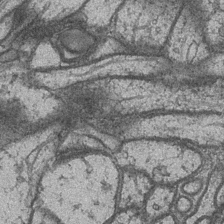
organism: Drosophila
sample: Optic medulla